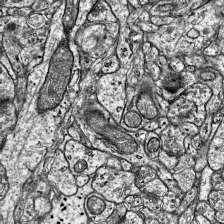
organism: Mouse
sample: Visual Cortex